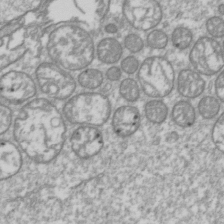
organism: Drosophila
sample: Cell division; meiosis; drosophila spermatocytes